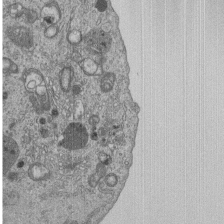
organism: Human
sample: MDA-MB-231 cells